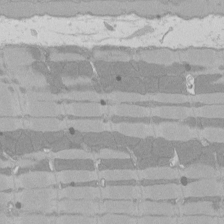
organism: Rat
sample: Left ventricle